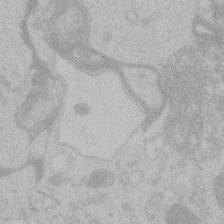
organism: Zebrafish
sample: Macrophage infected with Toxoplasma gondii